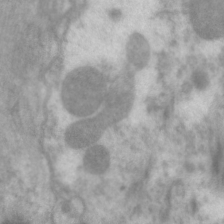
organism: C. elegans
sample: Pharynx